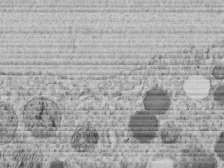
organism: C. elegans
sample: C. elegans embryo early stage